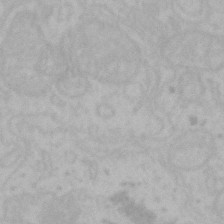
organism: Mouse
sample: Choroid plexus